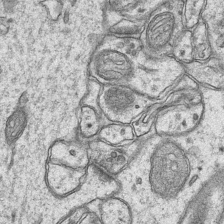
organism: Mouse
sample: CA1 Hippocampus